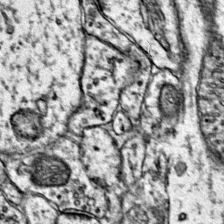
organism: Mouse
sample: Primary visual cortex